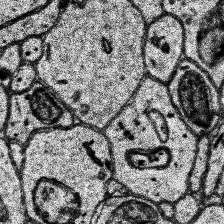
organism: Human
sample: Temporal Lobe